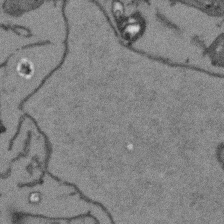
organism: Arabidopsis thaliana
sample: Root tip